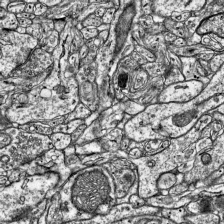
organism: Mouse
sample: Visual Cortex